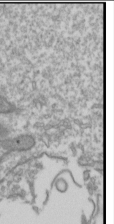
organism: Drosophila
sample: Cell division; meiosis; drosophila spermatocytes